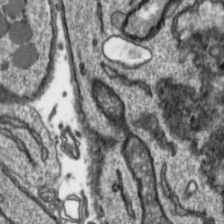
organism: Toxoplasma gondii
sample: Parasites in a vacuole inside a host cell